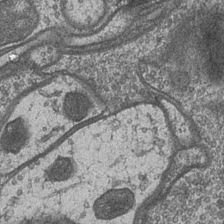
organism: Drosophila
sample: Optic medulla